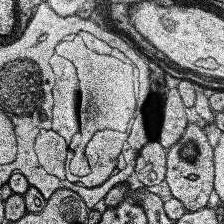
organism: Human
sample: Temporal Lobe